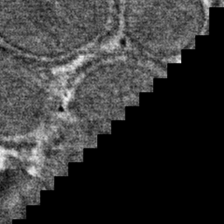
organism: Mouse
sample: Mouse hepatocytes